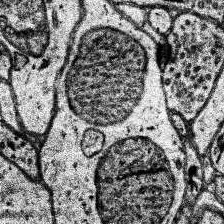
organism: Human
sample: Temporal Lobe